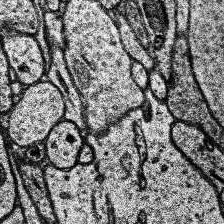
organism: Human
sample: Temporal Lobe